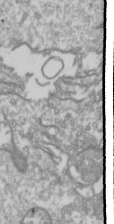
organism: Drosophila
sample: Cell division; meiosis; drosophila spermatocytes